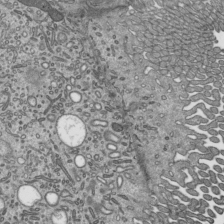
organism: Mouse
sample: Mouse epididymis efferent ductule cilia